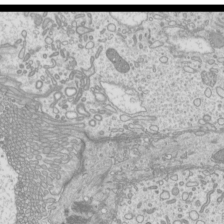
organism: Mouse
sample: Cilia; mouse epididymis